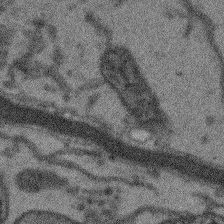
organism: Arabidopsis thaliana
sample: Root tip